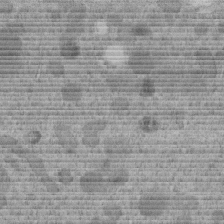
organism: C. elegans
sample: C. elegans embryo early stage